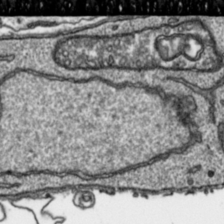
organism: Toxoplasma gondii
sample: Parasites in a vacuole inside a host cell